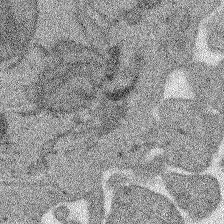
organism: Human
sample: HeLa cells